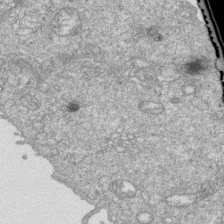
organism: Human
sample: HeLa cell HIV synapse